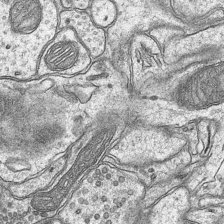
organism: Mouse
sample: CA1 Hippocampus